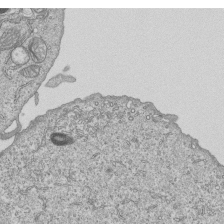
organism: Human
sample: MDA-MB-231 cells